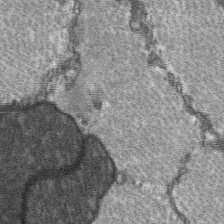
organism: C57BL Mouse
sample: Soleus